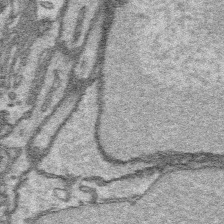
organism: Platynereis dumerilii